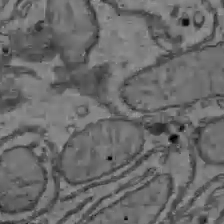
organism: C57BL Mouse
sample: Liver